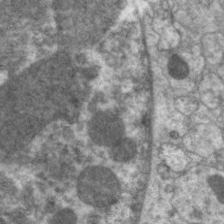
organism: C. elegans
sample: Pharynx